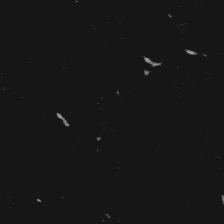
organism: Platynereis dumerilii